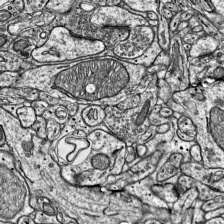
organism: Mouse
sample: Visual Cortex